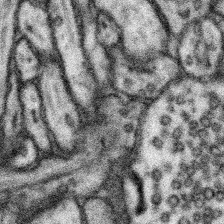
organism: Mouse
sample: Somatosensory cortex neuropil